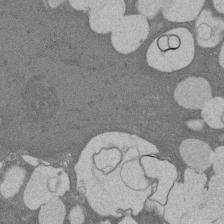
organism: Rat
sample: Salivary granule